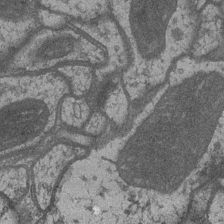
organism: Drosophila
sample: Optic medulla